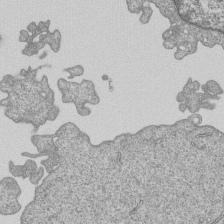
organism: Human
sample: MDA-MB-231 cells